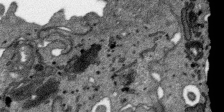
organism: Human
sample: Lung epithelial cells, uninfected (mock) control